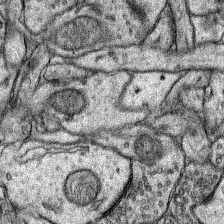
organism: Rat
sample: Hippocampus